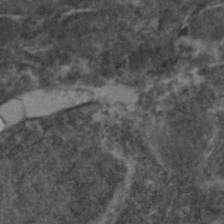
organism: Zebrafish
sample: Zebrafish embryo